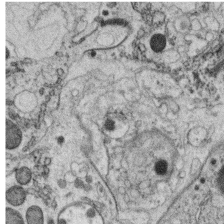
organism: C. elegans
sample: C. elegans oocyte; sperm cells